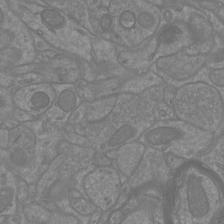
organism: Mouse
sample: Cortical neurons